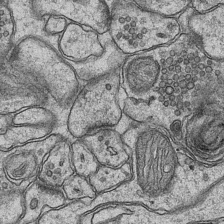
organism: Mouse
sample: CA1 Hippocampus